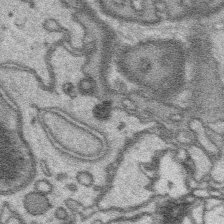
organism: Platynereis dumerilii